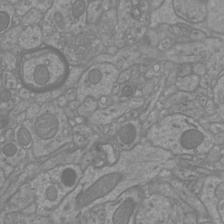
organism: Mouse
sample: Cortical neurons